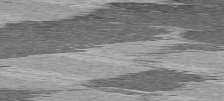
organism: C57BL Mouse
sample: Heart